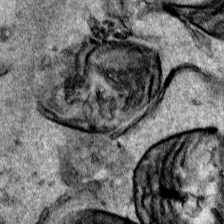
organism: Human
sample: Mitochondria in HCT116 cells